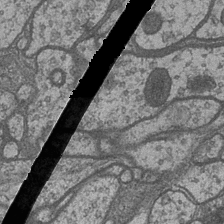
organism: Drosophila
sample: Optic medulla